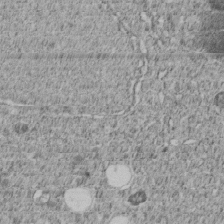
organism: C. elegans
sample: C. elegans embryo early stage